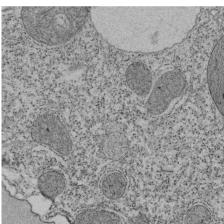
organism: Tetrahymena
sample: Cilia in tetrahymena